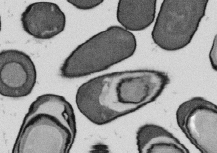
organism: B. subtilis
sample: Bacterial spore